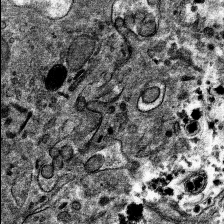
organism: Mouse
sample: Mouse hepatocytes